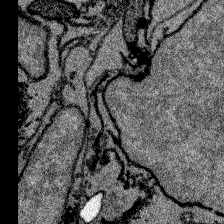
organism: Zebrafish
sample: Larval olfactory bulb